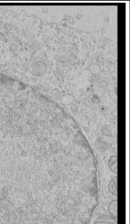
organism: Human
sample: Mitochondria in HCT116 cells